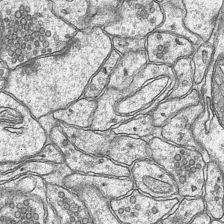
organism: Mouse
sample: CA1 Hippocampus